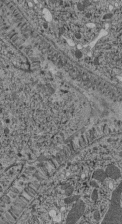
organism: C. elegans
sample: C. elegans pharynx